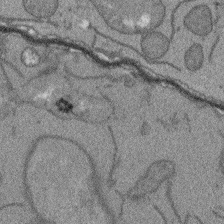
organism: Arabidopsis thaliana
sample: Root tip